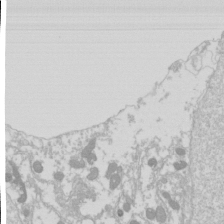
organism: Drosophila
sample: Cell division; meiosis; drosophila spermatocytes